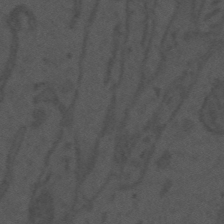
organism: Mouse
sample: Suprachiasmatic nucleus